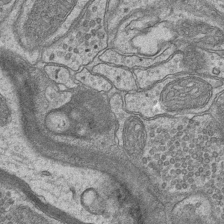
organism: Mouse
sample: CA1 Hippocampus